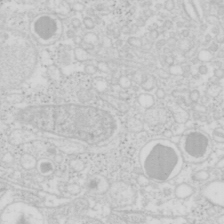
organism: Mouse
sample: Pancreas